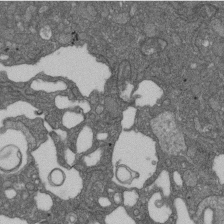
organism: Drosophila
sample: Nephrocyte